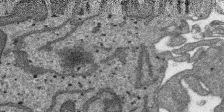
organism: Human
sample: Lung epithelial cells infected with SARS-CoV-2